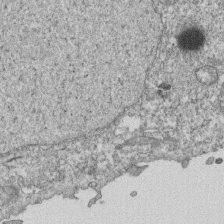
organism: Human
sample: HeLa cell HIV synapse